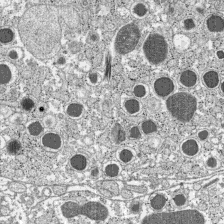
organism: C57BL Mouse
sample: Pancreatic islet